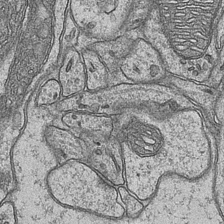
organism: Mouse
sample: CA1 Hippocampus